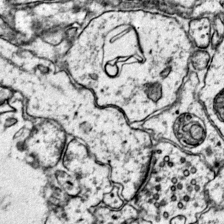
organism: Mouse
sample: Primary visual cortex